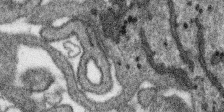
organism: Human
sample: Lung epithelial cells infected with SARS-CoV-2